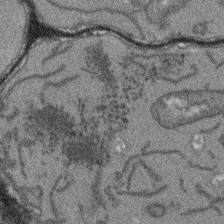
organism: Arabidopsis thaliana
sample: Root tip